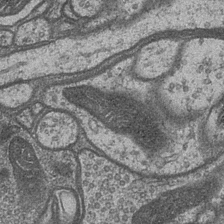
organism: Drosophila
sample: Optic medulla